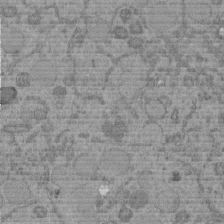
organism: C. elegans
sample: C. elegans embryo early stage